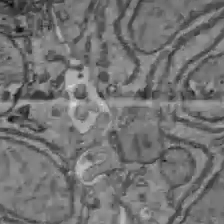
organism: C57BL Mouse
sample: Liver